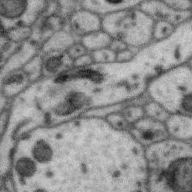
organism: Zebra finch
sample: Brain